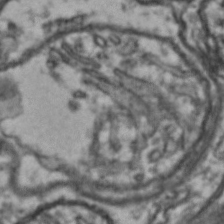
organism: Drosophila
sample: Brain